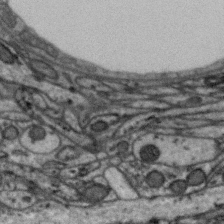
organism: Zebra finch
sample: Brain